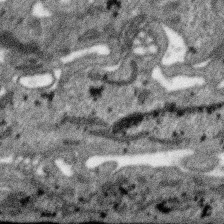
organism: Human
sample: Lung epithelial cells infected with SARS-CoV-2